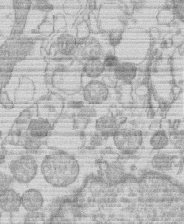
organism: Human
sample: Macrophage cells